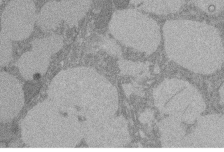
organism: Rat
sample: Salivary granule